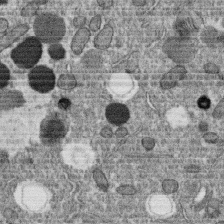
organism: C. elegans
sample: C. elegans oocyte; sperm cells